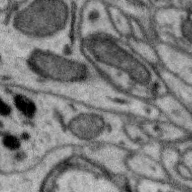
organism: Zebra finch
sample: Brain